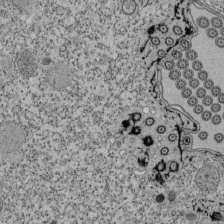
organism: Tetrahymena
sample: Cilia in tetrahymena